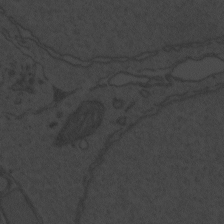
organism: Zebrafish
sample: Macrophage infected with Toxoplasma gondii